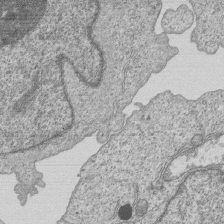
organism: Human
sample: MDA-MB-231 cells